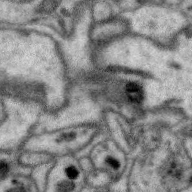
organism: Zebra finch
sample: Brain